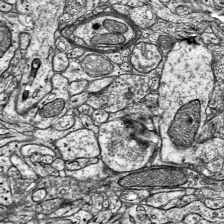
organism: Mouse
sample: Visual Cortex